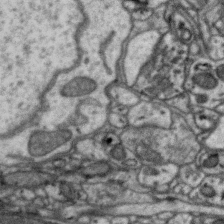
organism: Zebra finch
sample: Brain